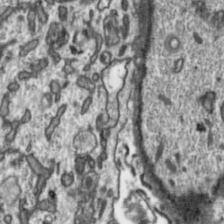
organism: Toxoplasma gondii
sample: Parasites in a vacuole inside a host cell